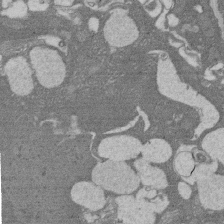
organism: Rat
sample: Salivary granule